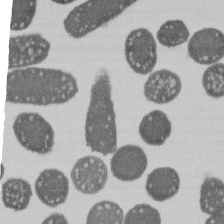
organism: E. coli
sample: Bacterial nucleoid